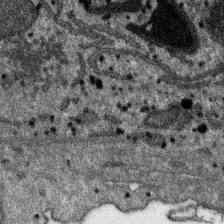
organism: Human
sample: Lung epithelial cells infected with SARS-CoV-2